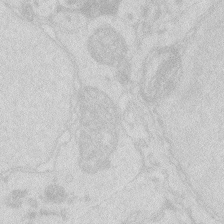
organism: Zebrafish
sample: Macrophage